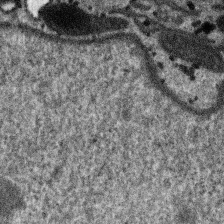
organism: Human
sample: Lung epithelial cells infected with SARS-CoV-2